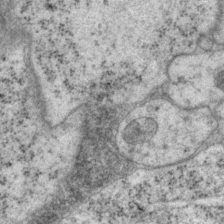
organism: P. pacificus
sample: Pharynx